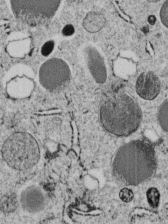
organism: C. elegans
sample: C. elegans embryo early stage